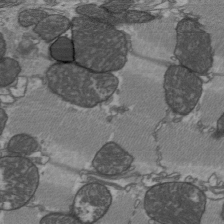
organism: C57BL Mouse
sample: Heart